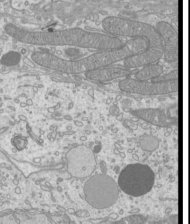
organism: Mouse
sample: Cilia; mouse epididymis